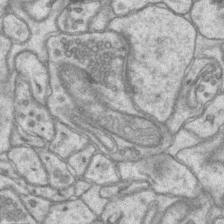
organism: Mouse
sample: CA1 Hippocampus